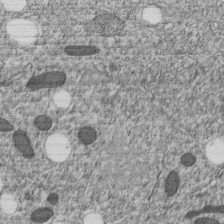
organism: C. elegans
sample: C. elegans embryo early stage